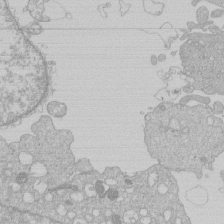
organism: Human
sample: Macrophage cells